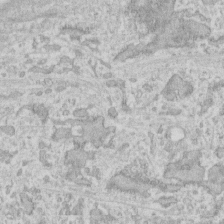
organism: Human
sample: Fibroblast cells